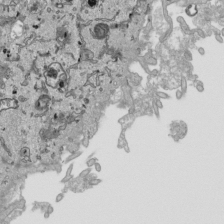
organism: Human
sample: Mitochondria in HCT116 cells